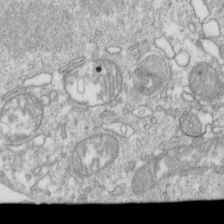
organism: Mouse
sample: Activated OT-1 CD8+ T cells